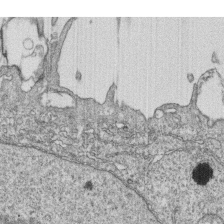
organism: Human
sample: HeLa cell HIV synapse